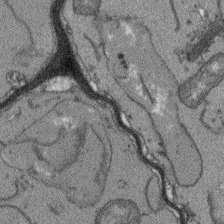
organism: Arabidopsis thaliana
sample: Root tip